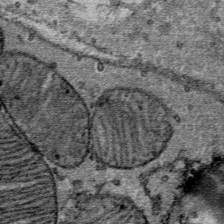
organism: Mouse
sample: Mouse Salivary gland